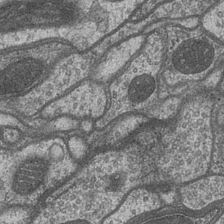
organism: Drosophila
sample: Optic medulla